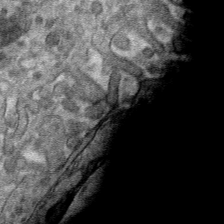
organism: Mouse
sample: Mouse hepatocytes